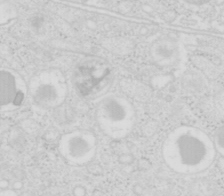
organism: Mouse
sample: Pancreas